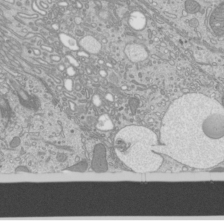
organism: Mouse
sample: Cilia; mouse epididymis